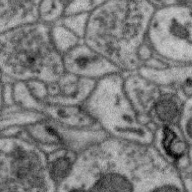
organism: Zebra finch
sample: Brain